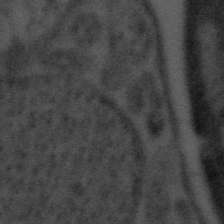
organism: Tuwongella immobilis